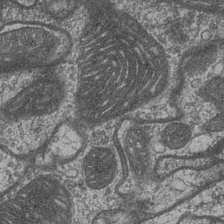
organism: Drosophila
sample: Optic medulla